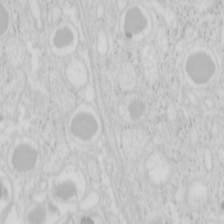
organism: Mouse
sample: Pancreas